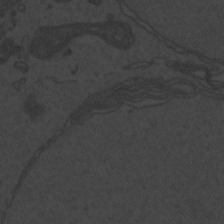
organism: Zebrafish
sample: Macrophage infected with Toxoplasma gondii